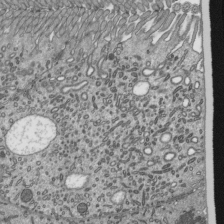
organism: Mouse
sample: Mouse epididymis efferent ductule cilia